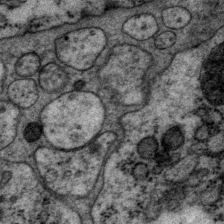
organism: P. pacificus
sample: Pharynx